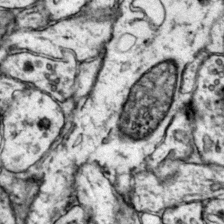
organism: Mouse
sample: Primary visual cortex